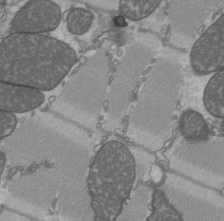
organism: C57BL Mouse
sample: Heart